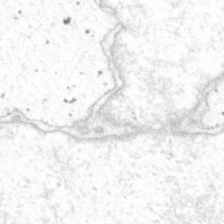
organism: Human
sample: HeLa cells